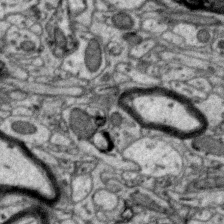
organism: Zebra finch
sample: Brain